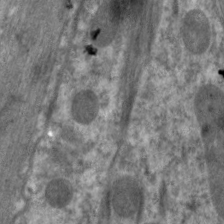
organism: C. elegans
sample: Pharynx